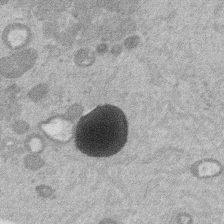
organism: Mouse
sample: Dividing mouse embryo 1 cell stage